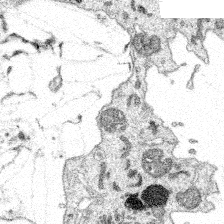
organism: Spongilla lacustris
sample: Multiple